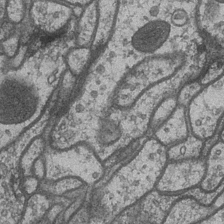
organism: Drosophila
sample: Optic medulla